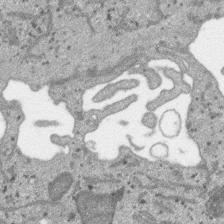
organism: Human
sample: Lung epithelial cells infected with SARS-CoV-2